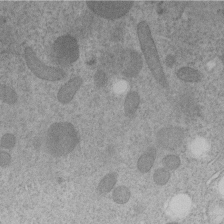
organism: C. elegans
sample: C. elegans embryo early stage